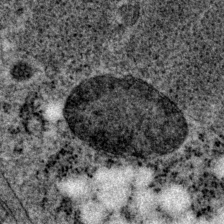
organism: P. pacificus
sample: Pharynx